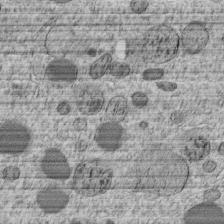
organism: C. elegans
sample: C. elegans embryo early stage